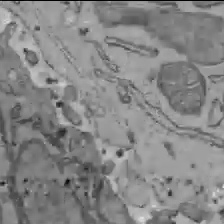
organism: C57BL Mouse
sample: Liver